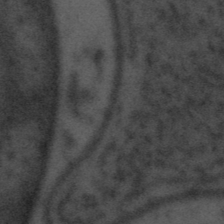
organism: Tuwongella immobilis